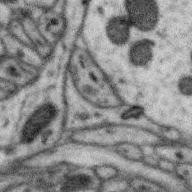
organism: Zebra finch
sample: Brain